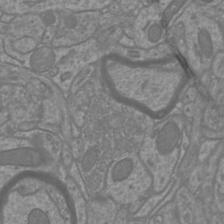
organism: Mouse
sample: Cortical neurons